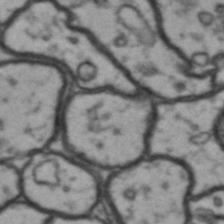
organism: Drosophila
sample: Brain